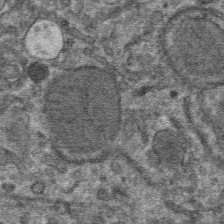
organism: Mouse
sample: Mouse hepatocytes